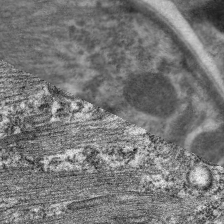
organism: C. elegans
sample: Pharynx